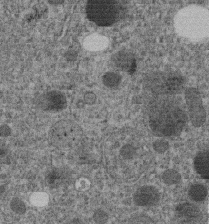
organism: C. elegans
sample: C. elegans embryo early stage